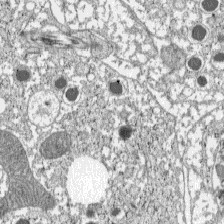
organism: C57BL Mouse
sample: Pancreatic islet